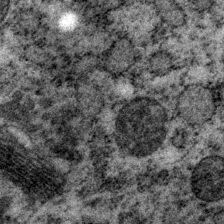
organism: P. pacificus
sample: Pharynx